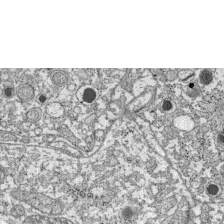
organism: C57BL Mouse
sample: Pancreatic islet